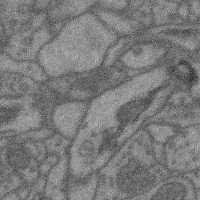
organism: Mouse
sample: Cerebral cortex